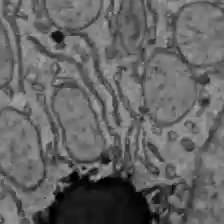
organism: C57BL Mouse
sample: Liver